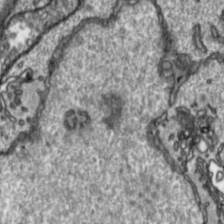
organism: Toxoplasma gondii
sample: Parasites in a vacuole inside a host cell